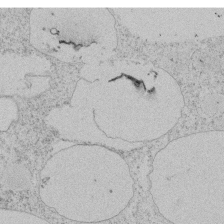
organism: Tetrahymena